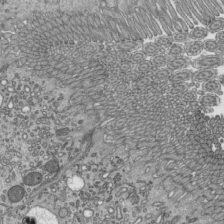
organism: Mouse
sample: Mouse epididymis efferent ductule cilia